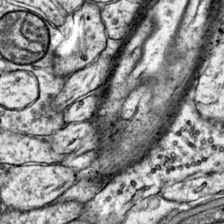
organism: Mouse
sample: Primary visual cortex